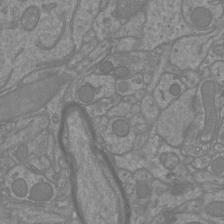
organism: Mouse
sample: Cortical neurons